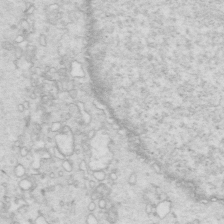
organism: Mouse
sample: Multiciliated cells